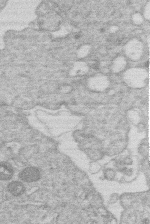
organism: Human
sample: Macrophage cells